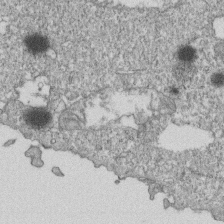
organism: Human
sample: HeLa cell HIV synapse